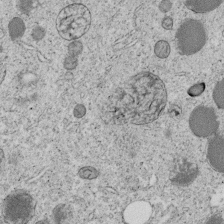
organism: C. elegans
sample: C. elegans embryo early stage